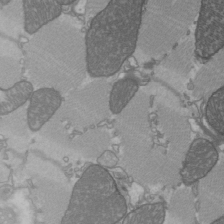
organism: C57BL Mouse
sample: Heart